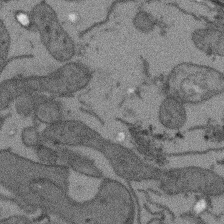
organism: Arabidopsis thaliana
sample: Root tip